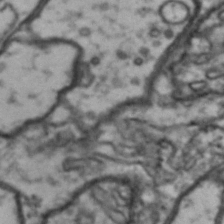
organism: Drosophila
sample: Brain